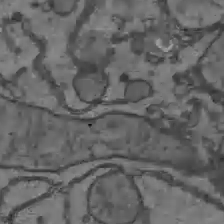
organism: C57BL Mouse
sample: Liver